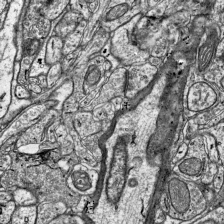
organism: Mouse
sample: Visual Cortex